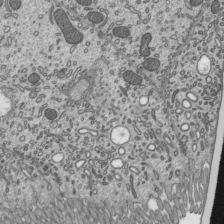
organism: Mouse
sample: Mouse epididymis efferent ductule cilia